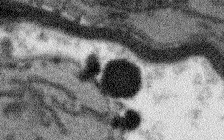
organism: Arabidopsis thaliana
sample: Root tip